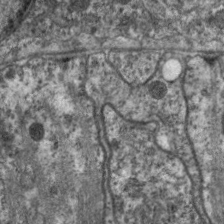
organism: C. elegans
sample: Pharynx